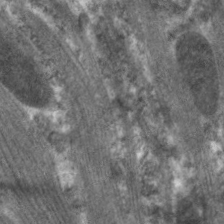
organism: C. elegans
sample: Pharynx